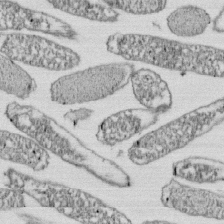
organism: E. coli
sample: Bacterial nucleoid